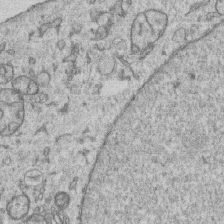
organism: Human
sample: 1205lu cells